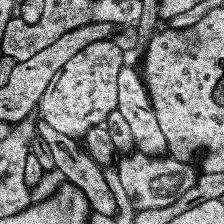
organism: Human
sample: Temporal Lobe